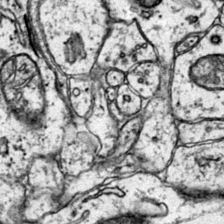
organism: Mouse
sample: Primary visual cortex